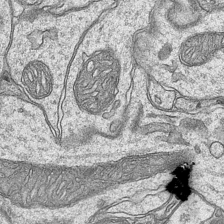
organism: Mouse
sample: CA1 Hippocampus